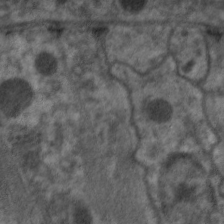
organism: C. elegans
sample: Pharynx